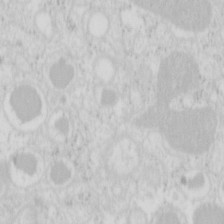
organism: Mouse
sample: Pancreas